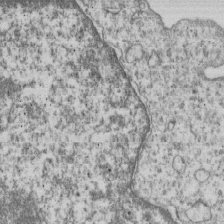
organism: Human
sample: MDA-MB-231 cells